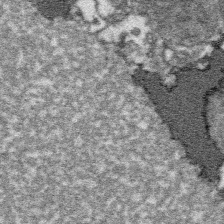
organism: Platynereis dumerilii